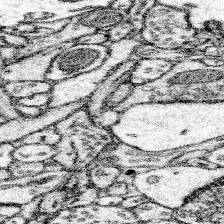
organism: Mouse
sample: Somatosensory cortex neuropil